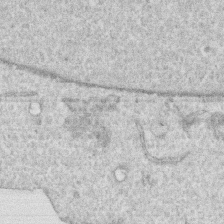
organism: Human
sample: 1205lu cells